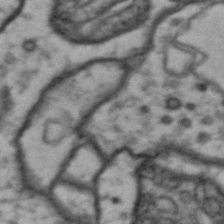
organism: Drosophila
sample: Brain